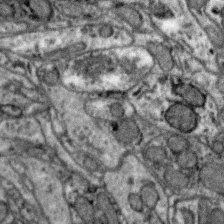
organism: Zebra finch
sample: Brain